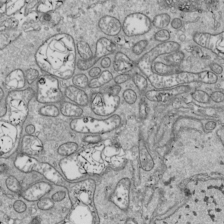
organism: Drosophila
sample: Cell division; meiosis; drosophila spermatocytes